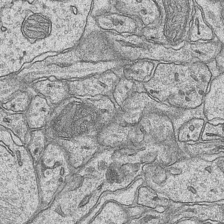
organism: Mouse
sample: CA1 Hippocampus